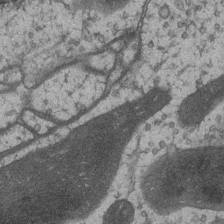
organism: Drosophila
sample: Optic medulla